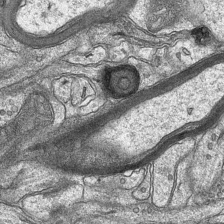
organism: Mouse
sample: CA1 Hippocampus